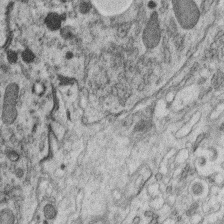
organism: C. elegans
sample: C. elegans oocyte; sperm cells